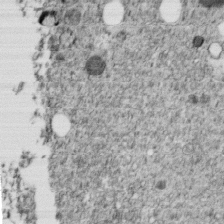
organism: C. elegans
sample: C. elegans embryo early stage